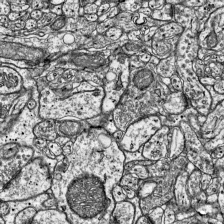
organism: Mouse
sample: Visual Cortex